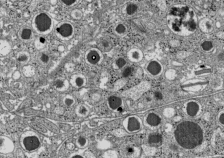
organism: C57BL Mouse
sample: Pancreatic islet